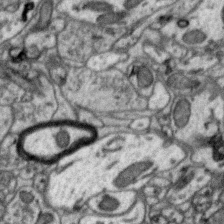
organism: Zebra finch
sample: Brain